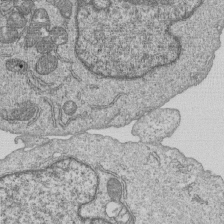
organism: Human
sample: MDA-MB-231 cells